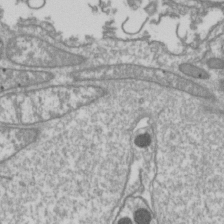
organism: Drosophila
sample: Cell division; meiosis; drosophila spermatocytes